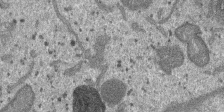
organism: Human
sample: Lung epithelial cells infected with SARS-CoV-2